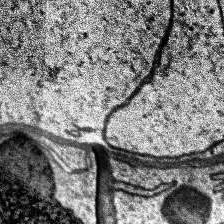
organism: Human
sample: Temporal Lobe